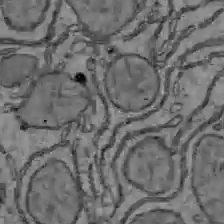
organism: C57BL Mouse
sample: Liver